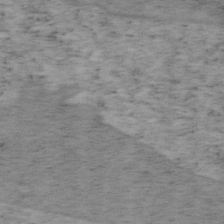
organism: Mouse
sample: OT-I killer T cells with ID8 ovarian cancer cells